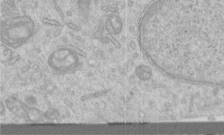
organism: Human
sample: Centriole in RPE cells